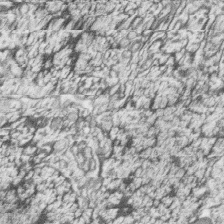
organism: Zebrafish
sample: synaptic ribbons in rod cells and cone cells